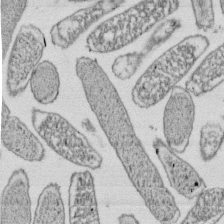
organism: E. coli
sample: Bacterial nucleoid